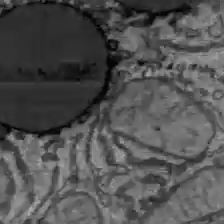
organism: C57BL Mouse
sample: Liver